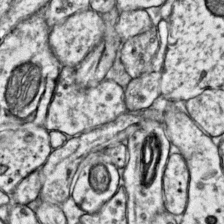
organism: Mouse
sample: Primary visual cortex